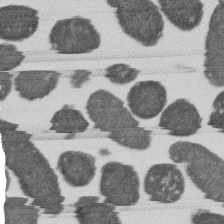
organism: E. coli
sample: Bacterial nucleoid